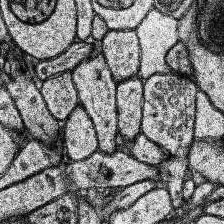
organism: Human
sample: Temporal Lobe